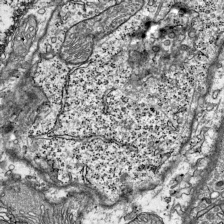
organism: Mouse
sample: Visual Cortex